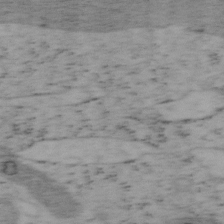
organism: Mouse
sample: OT-I killer T cells with ID8 ovarian cancer cells